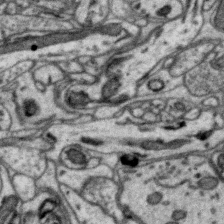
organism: Zebra finch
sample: Brain